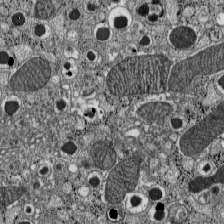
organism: C57BL Mouse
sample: Pancreatic islet